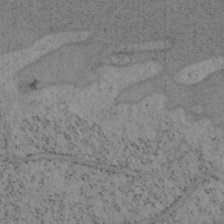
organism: Mouse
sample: OT-I killer T cells with ID8 ovarian cancer cells